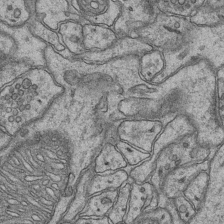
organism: Mouse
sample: CA1 Hippocampus